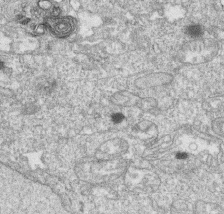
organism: Human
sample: HeLa cell HIV synapse